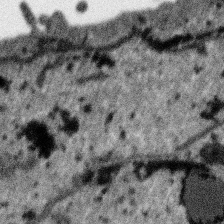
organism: Human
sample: Lung epithelial cells infected with SARS-CoV-2